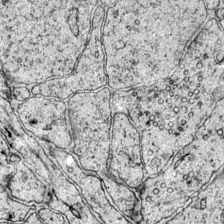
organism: Mouse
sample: Primary visual cortex